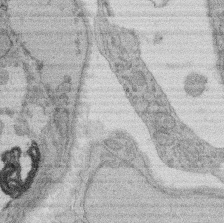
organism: Rat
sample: Salivary granule